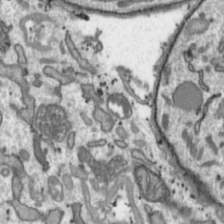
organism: Toxoplasma gondii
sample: Parasites in a vacuole inside a host cell